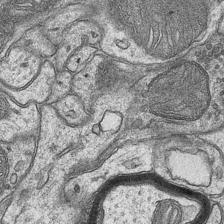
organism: Mouse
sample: CA1 Hippocampus